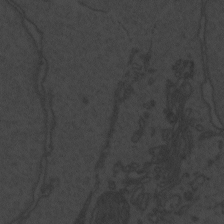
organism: Zebrafish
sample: Macrophage infected with Toxoplasma gondii